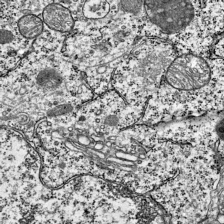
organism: Mouse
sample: Visual Cortex